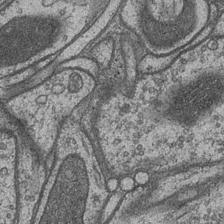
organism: Drosophila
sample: Optic medulla